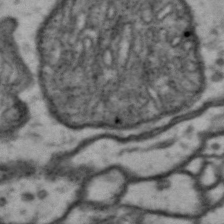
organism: Drosophila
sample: Brain